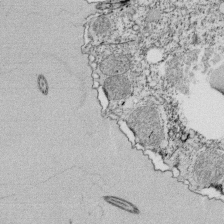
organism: Tetrahymena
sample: Cilia in tetrahymena